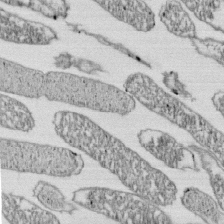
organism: E. coli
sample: Bacterial nucleoid